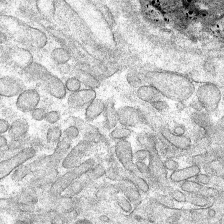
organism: Mouse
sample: Mouse hepatocytes